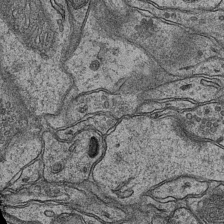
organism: Mouse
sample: CA1 Hippocampus